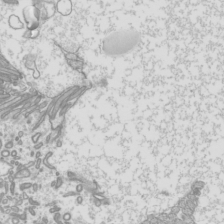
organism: Mouse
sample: Cilia; mouse epididymis